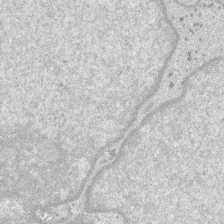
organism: Human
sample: Lung epithelial cells infected with SARS-CoV-2